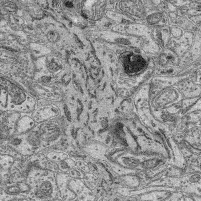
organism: Mouse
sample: Retina